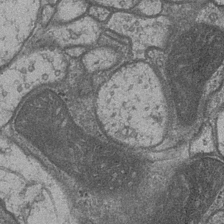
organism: Drosophila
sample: Optic medulla